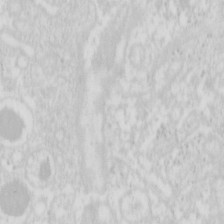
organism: Mouse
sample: Pancreas